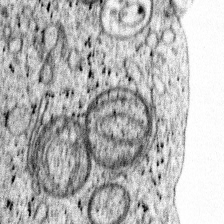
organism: Human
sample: HeLa cells